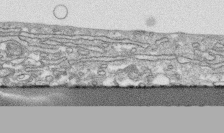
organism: Human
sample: CRL-1474